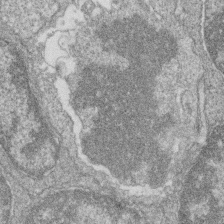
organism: Zebrafish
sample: Cilia; retinal pigment epithelium